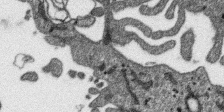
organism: Human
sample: Lung epithelial cells infected with SARS-CoV-2